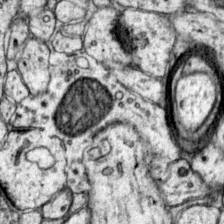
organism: Mouse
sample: Primary visual cortex